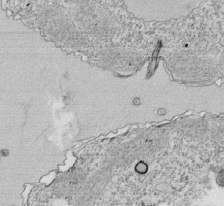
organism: Tetrahymena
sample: Cilia in tetrahymena